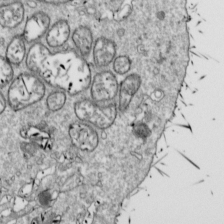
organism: Drosophila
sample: Cell division; meiosis; drosophila spermatocytes